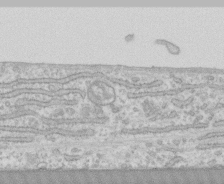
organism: Human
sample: CRL-1474